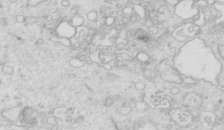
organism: Mouse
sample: Multiciliated cells